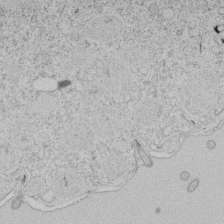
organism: Tetrahymena